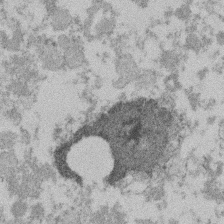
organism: Mouse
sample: Dividing mouse embryo 1 cell stage